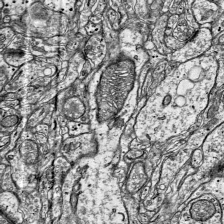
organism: Mouse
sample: Visual Cortex